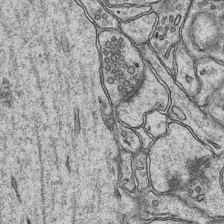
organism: Mouse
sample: CA1 Hippocampus